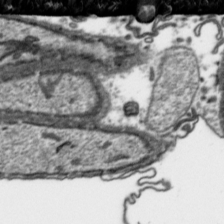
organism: Toxoplasma gondii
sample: Parasites in a vacuole inside a host cell